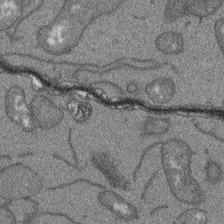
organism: Arabidopsis thaliana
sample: Root tip